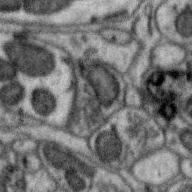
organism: Zebra finch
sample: Brain